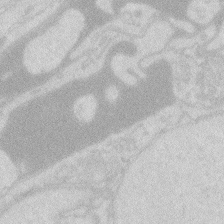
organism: Zebrafish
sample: Macrophage